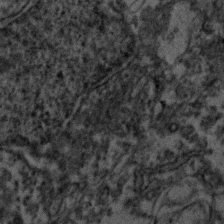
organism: Zebrafish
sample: Zebrafish embryo